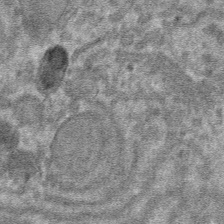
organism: Mouse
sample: Mouse hepatocytes